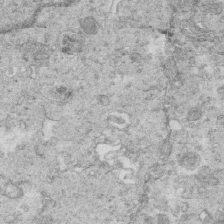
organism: Mouse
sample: Multiciliated cells